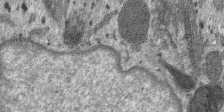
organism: Human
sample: Lung epithelial cells infected with SARS-CoV-2